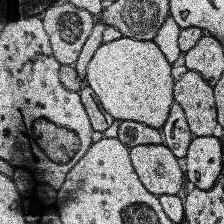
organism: Human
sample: Temporal Lobe